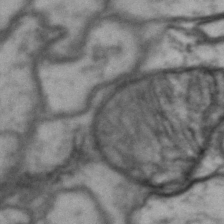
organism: Drosophila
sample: Brain